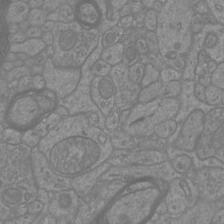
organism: Mouse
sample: Cortical neurons